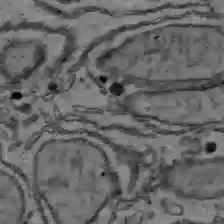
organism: C57BL Mouse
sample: Liver